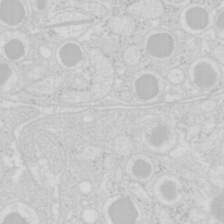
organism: Mouse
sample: Pancreas